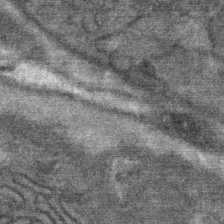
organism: Mouse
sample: Mouse Salivary gland